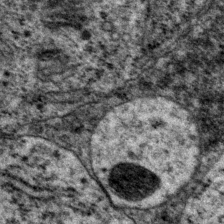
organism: P. pacificus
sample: Pharynx